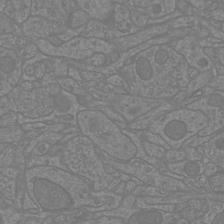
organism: Mouse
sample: Cortical neurons